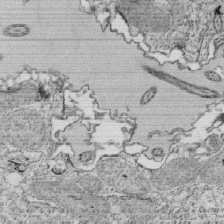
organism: Tetrahymena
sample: Cilia in tetrahymena